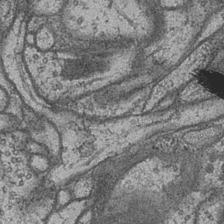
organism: Drosophila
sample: Optic medulla